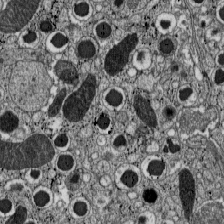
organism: C57BL Mouse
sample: Pancreatic islet